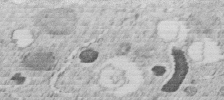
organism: C. elegans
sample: C. elegans embryo early stage